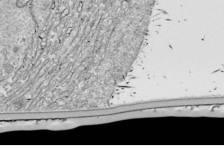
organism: Drosophila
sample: Cell division; meiosis; drosophila spermatocytes